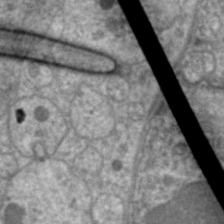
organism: C. elegans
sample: Pharynx